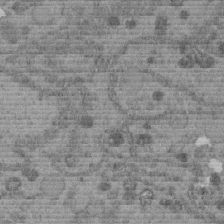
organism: C. elegans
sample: C. elegans embryo early stage